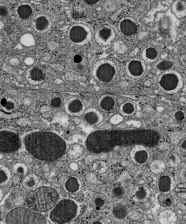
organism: C57BL Mouse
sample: Pancreatic islet